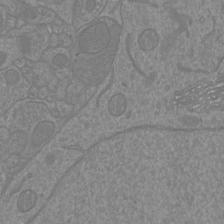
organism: Mouse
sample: Cortical neurons